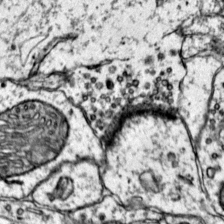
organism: Mouse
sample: Primary visual cortex